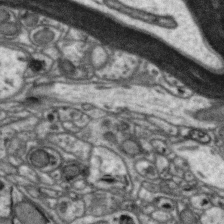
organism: Zebra finch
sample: Brain